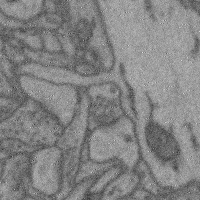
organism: Mouse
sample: Cerebral cortex